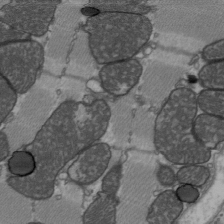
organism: C57BL Mouse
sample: Heart